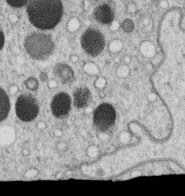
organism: C. elegans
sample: C. elegans oocyte; sperm cells